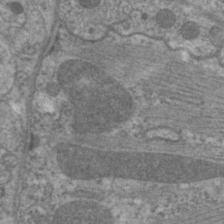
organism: C. elegans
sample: Pharynx